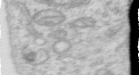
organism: Human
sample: Centriole in RPE cells